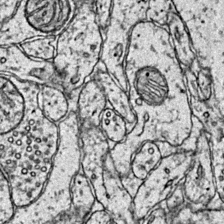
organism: Mouse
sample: Primary visual cortex